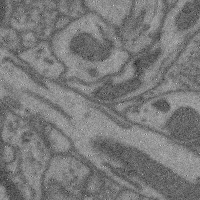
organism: Mouse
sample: Cerebral cortex